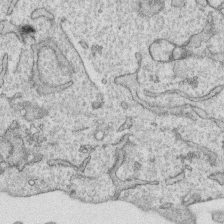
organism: Human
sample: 1205lu cells